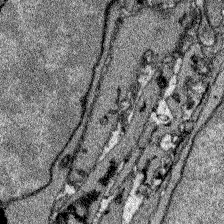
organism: Zebrafish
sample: Larval olfactory bulb